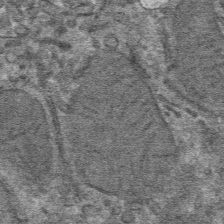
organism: Mouse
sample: Mouse hepatocytes